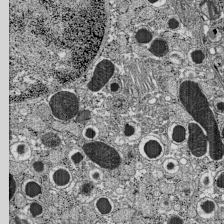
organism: C57BL Mouse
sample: Pancreatic islet